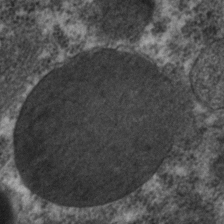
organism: C. elegans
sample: C. elegans embryo